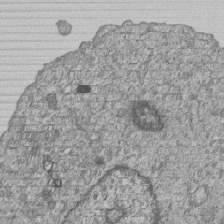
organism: Human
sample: MDA-MB-231 cells